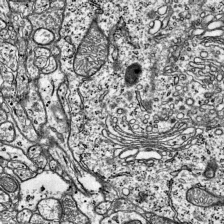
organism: Mouse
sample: Visual Cortex